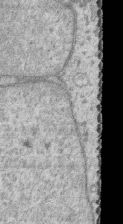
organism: Human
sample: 1205lu cells